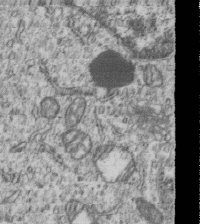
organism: Human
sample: MDA-MB-231 cells